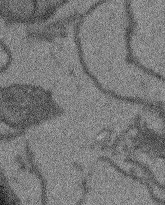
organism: Arabidopsis thaliana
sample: Root tip